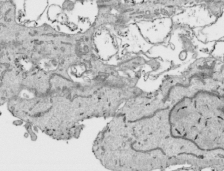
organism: Human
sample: Mitochondria in HCT116 cells